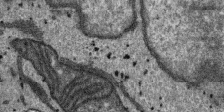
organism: Human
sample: Lung epithelial cells, uninfected (mock) control